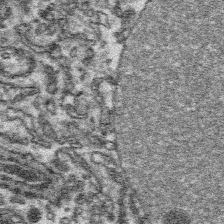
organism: Platynereis dumerilii